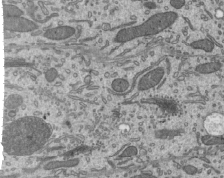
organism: Mouse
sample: Mouse epididymis efferent ductule cilia